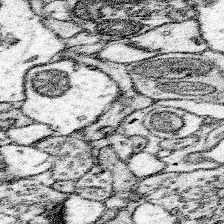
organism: Mouse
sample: Somatosensory cortex neuropil